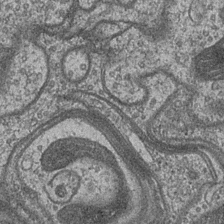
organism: Drosophila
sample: Optic medulla